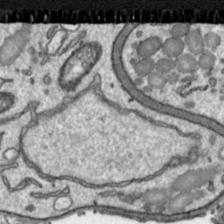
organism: Toxoplasma gondii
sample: Parasites in a vacuole inside a host cell